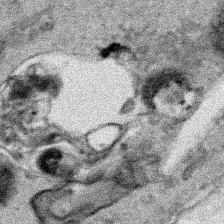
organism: Human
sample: Mitochondria in HCT116 cells